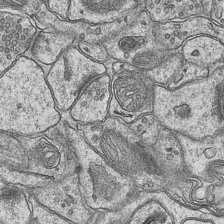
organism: Mouse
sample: CA1 Hippocampus